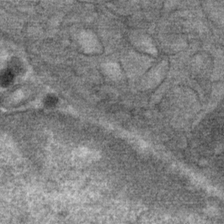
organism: Mouse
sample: Mouse Salivary gland